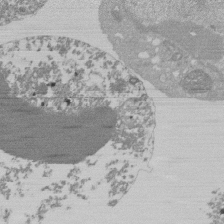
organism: Mouse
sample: Activated Pmel transgenic CD8+ T Cells